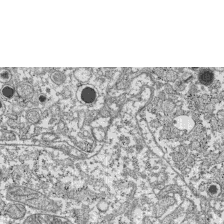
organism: C57BL Mouse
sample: Pancreatic islet